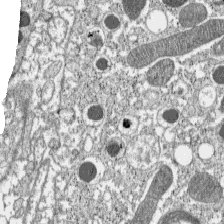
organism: C57BL Mouse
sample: Pancreatic islet